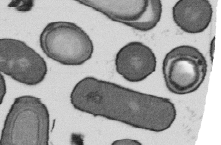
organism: B. subtilis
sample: Bacterial spore